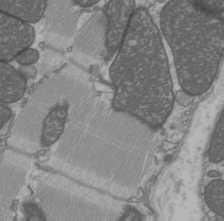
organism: C57BL Mouse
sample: Heart